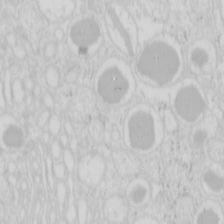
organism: Mouse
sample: Pancreas